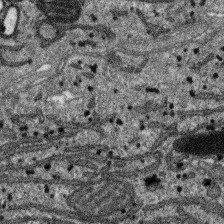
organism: Human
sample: Lung epithelial cells infected with SARS-CoV-2